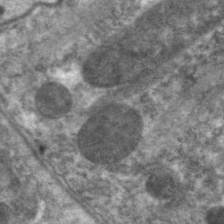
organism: C. elegans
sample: Pharynx